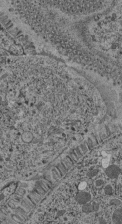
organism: C. elegans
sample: C. elegans pharynx